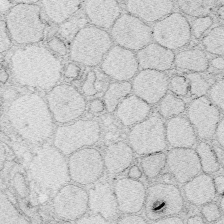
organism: Zebrafish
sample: Whole-Brain